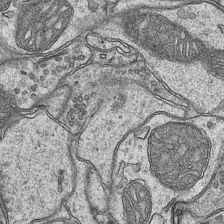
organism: Mouse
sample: CA1 Hippocampus